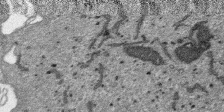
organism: Human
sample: Lung epithelial cells infected with SARS-CoV-2